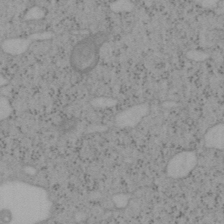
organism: Mouse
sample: OT-I killer T cells with ID8 ovarian cancer cells